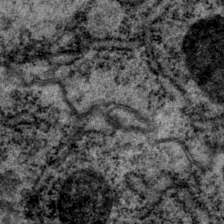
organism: P. pacificus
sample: Pharynx